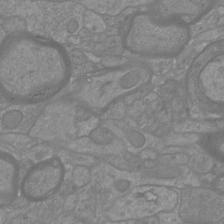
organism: Mouse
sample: Cortical neurons